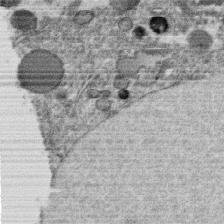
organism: C. elegans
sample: C. elegans oocyte; sperm cells